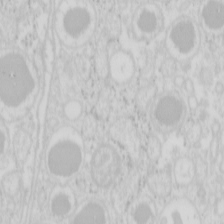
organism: Mouse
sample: Pancreas